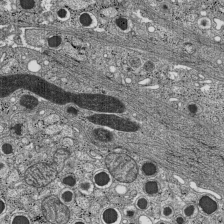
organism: C57BL Mouse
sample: Pancreatic islet